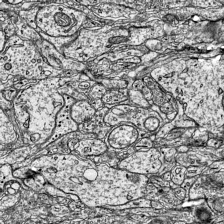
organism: Mouse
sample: Visual Cortex